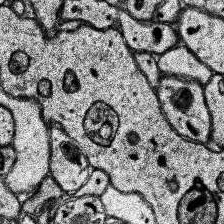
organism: Human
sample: Temporal Lobe